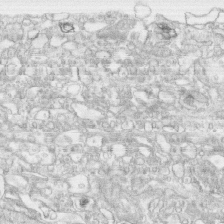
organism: Human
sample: CRL-1474